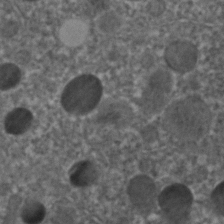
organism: C. elegans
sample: C. elegans embryo